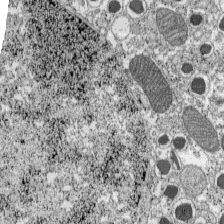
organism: C57BL Mouse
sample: Pancreatic islet